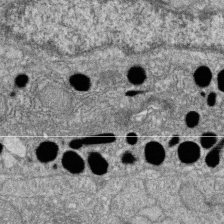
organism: Zebrafish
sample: Cilia; retinal pigment epithelium